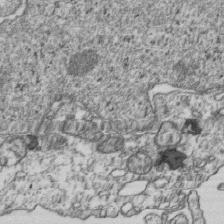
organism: Human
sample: Activated Jurkat CD4+ T cells